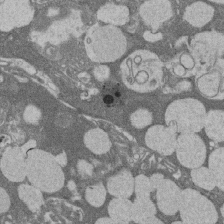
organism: Rat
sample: Salivary granule